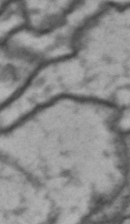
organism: Drosophila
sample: Brain